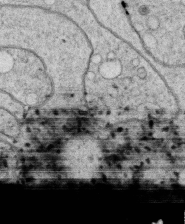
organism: C. elegans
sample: C. elegans oocyte; sperm cells